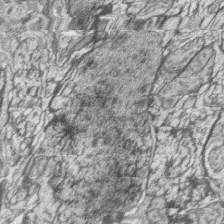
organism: Zebrafish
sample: synaptic ribbons in rod cells and cone cells